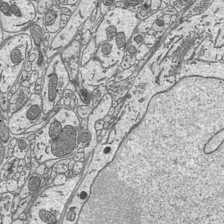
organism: Mouse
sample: Suprachiasmatic nucleus